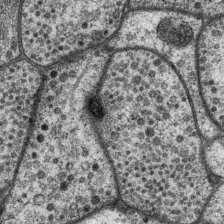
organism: P. pacificus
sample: Pharynx